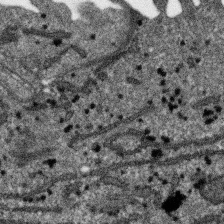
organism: Human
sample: Lung epithelial cells infected with SARS-CoV-2